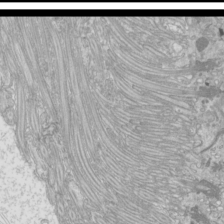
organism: Mouse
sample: Cilia; mouse epididymis